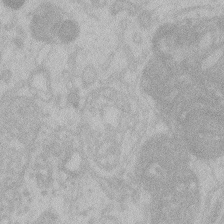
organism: Zebrafish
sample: Macrophage infected with Toxoplasma gondii